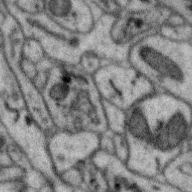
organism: Zebra finch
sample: Brain